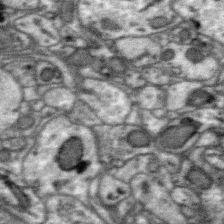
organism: Zebra finch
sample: Brain